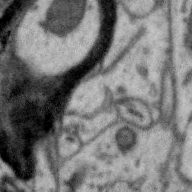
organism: Zebra finch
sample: Brain